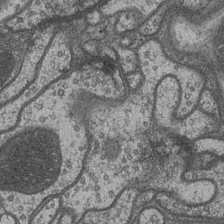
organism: Drosophila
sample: Optic medulla